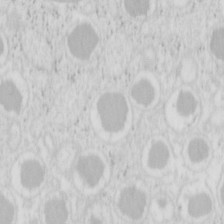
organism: Mouse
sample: Pancreas